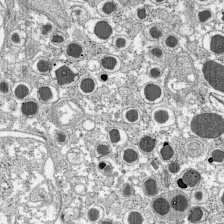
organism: C57BL Mouse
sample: Pancreatic islet